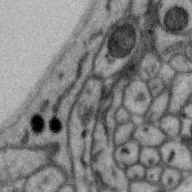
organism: Zebra finch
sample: Brain